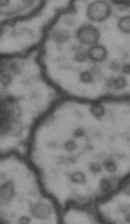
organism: Drosophila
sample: Brain